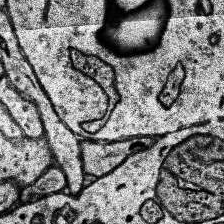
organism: Human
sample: Temporal Lobe